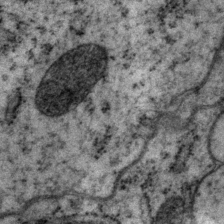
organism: P. pacificus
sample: Pharynx